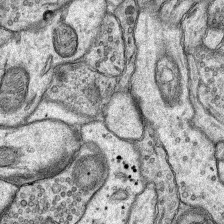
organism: Rat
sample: Hippocampus